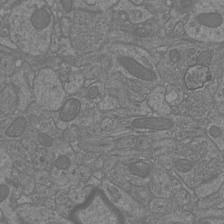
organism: Mouse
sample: Cortical neurons